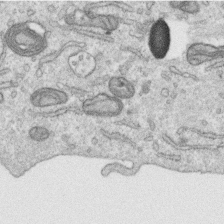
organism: Human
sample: Centriole in RPE cells